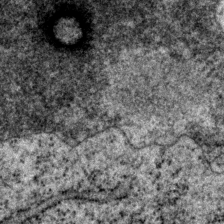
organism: P. pacificus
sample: Pharynx